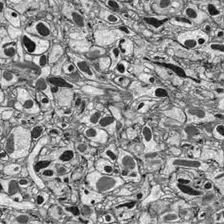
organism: Drosophila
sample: Optic lobe